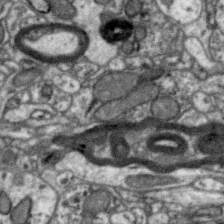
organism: Zebra finch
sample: Brain